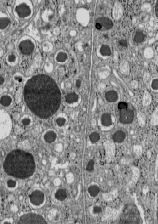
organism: C57BL Mouse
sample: Pancreatic islet